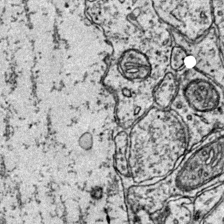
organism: Mouse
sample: Primary visual cortex